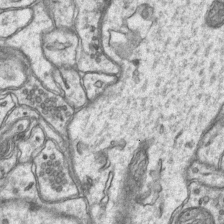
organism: Mouse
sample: CA1 Hippocampus